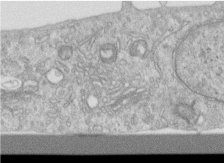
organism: Human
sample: Centriole in RPE cells